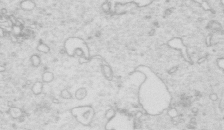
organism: Mouse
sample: Multiciliated cells